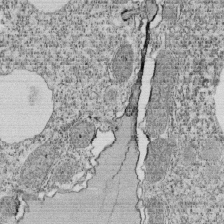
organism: Tetrahymena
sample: Cilia in tetrahymena